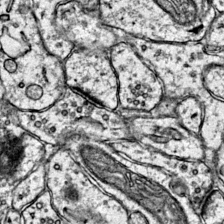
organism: Mouse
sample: Primary visual cortex